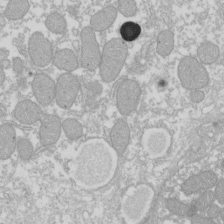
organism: Xenopus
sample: Cilia; centrioles in frog embryo cells